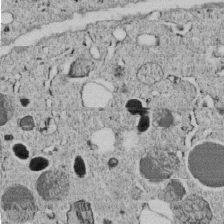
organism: C. elegans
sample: C. elegans embryo early stage